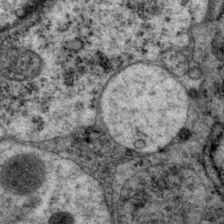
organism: P. pacificus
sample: Pharynx